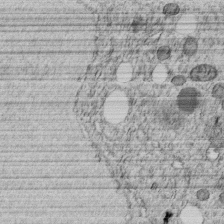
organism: C. elegans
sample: C. elegans embryo early stage